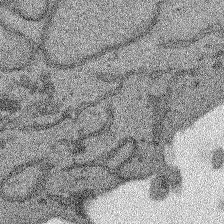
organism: Human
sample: HeLa cells